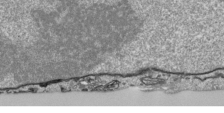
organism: Human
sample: Mitochondria in HCT116 cells